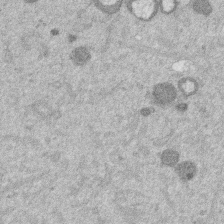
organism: Mouse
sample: Dividing mouse embryo 1 cell stage